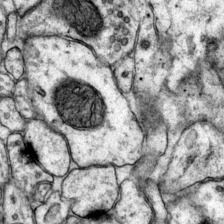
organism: Mouse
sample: Primary visual cortex